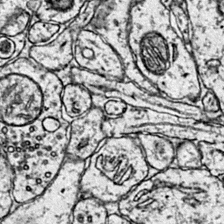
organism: Mouse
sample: Primary visual cortex